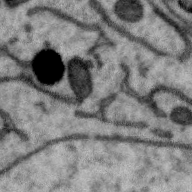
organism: Zebra finch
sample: Brain